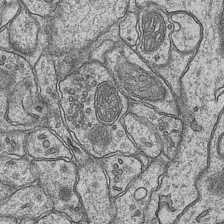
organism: Mouse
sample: CA1 Hippocampus